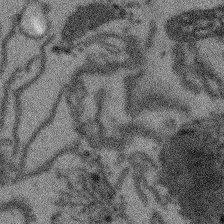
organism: Arabidopsis thaliana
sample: Root tip